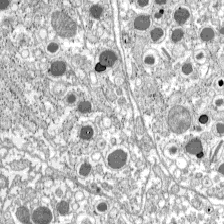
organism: C57BL Mouse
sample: Pancreatic islet